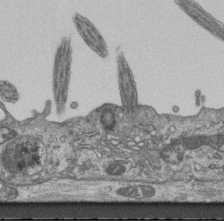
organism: Mouse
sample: Centriole in ependymal cells